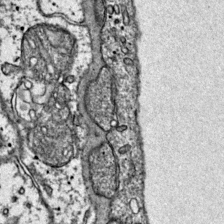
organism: Mouse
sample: Primary visual cortex